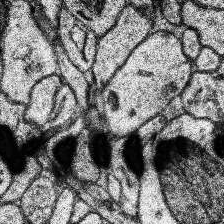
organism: Human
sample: Temporal Lobe